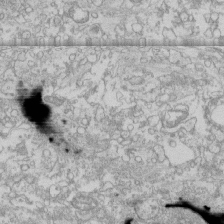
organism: Human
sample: CRL-1474